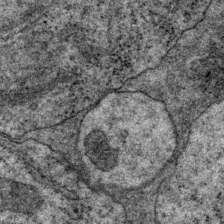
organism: P. pacificus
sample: Pharynx